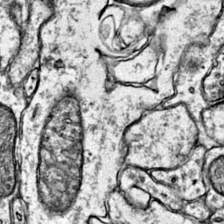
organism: Mouse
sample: Primary visual cortex